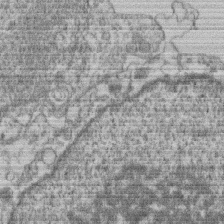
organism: Mouse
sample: T cell stromal cell synapse